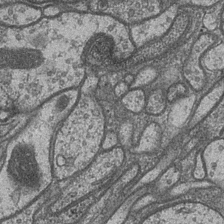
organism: Drosophila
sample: Optic medulla